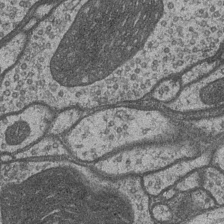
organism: Drosophila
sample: Optic medulla